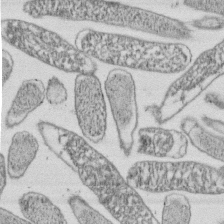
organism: E. coli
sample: Bacterial nucleoid